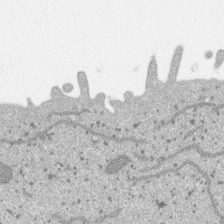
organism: Human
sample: Lung epithelial cells infected with SARS-CoV-2